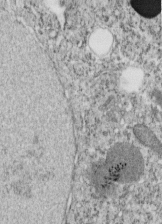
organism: C. elegans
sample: C. elegans embryo early stage